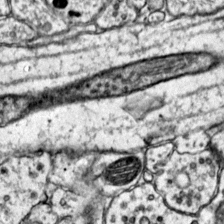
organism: Mouse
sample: Primary visual cortex